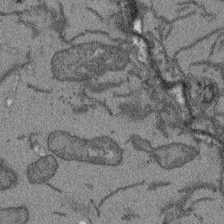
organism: Arabidopsis thaliana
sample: Root tip